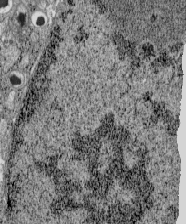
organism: C57BL Mouse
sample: Pancreatic islet